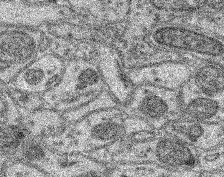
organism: Mouse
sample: Retina